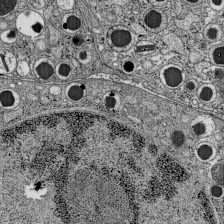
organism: C57BL Mouse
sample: Pancreatic islet